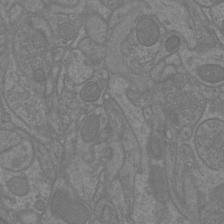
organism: Mouse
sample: Cortical neurons